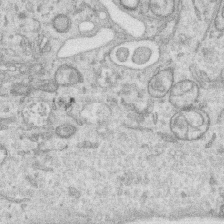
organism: Human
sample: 1205lu cells